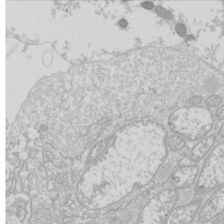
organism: Drosophila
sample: Cell division; meiosis; drosophila spermatocytes